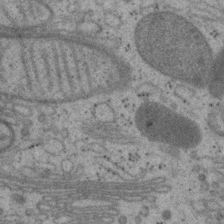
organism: Human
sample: HeLa cells